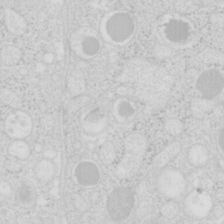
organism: Mouse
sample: Pancreas